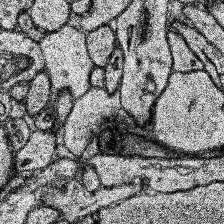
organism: Human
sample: Temporal Lobe